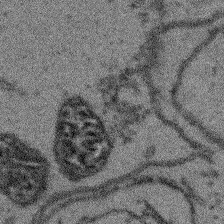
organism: Arabidopsis thaliana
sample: Root tip